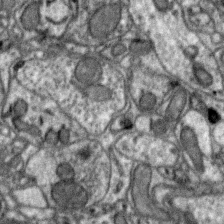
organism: Zebra finch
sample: Brain